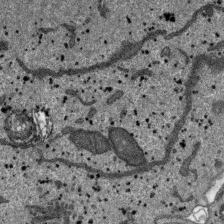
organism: Human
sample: Lung epithelial cells, uninfected (mock) control